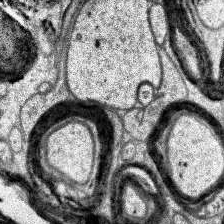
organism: Human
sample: Temporal Lobe